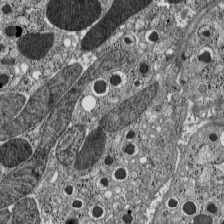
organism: C57BL Mouse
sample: Pancreatic islet